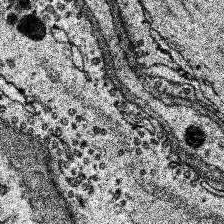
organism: Human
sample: Temporal Lobe